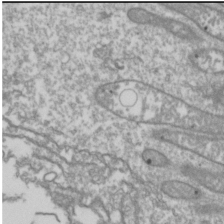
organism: Drosophila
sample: Cell division; meiosis; drosophila spermatocytes